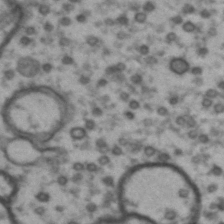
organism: Drosophila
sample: Brain